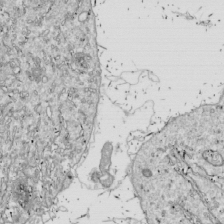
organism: Drosophila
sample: Cell division; meiosis; drosophila spermatocytes